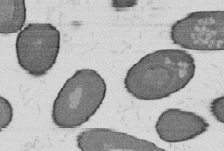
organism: B. subtilis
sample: Bacterial spore